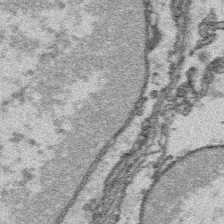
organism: Platynereis dumerilii